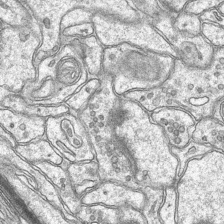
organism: Mouse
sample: CA1 Hippocampus